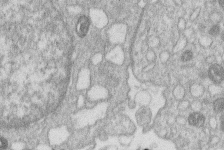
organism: Human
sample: Macrophage cells